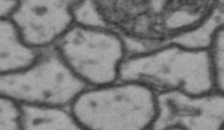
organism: Drosophila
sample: Brain